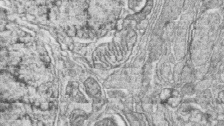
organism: Zebrafish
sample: synaptic ribbons in rod cells and cone cells